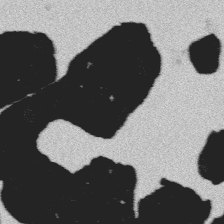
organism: Platynereis dumerilii